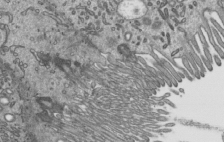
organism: Mouse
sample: Mouse epididymis efferent ductule cilia